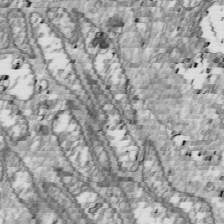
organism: Drosophila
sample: Cell division; meiosis; drosophila spermatocytes